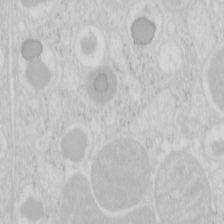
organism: Mouse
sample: Pancreas